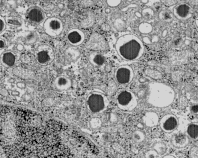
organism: C57BL Mouse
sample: Pancreatic islet